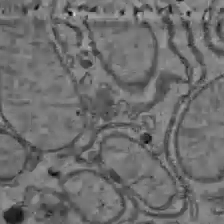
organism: C57BL Mouse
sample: Liver